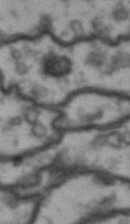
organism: Drosophila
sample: Brain